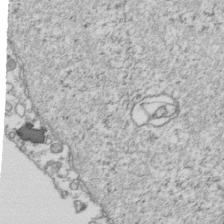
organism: Human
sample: Activated Jurkat CD4+ T cells